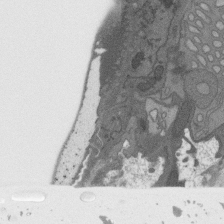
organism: C. elegans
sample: AFD neurons C. elegans